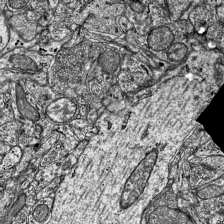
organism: Mouse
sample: Visual Cortex